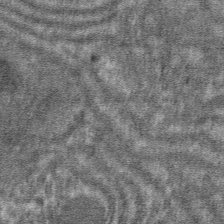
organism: Mouse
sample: Mouse hepatocytes